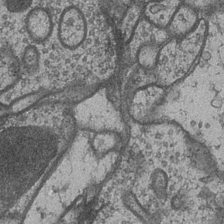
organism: Drosophila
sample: Optic medulla